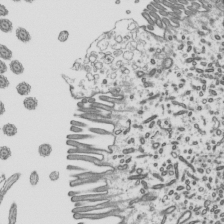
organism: Mouse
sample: Mouse epididymis efferent ductule cilia